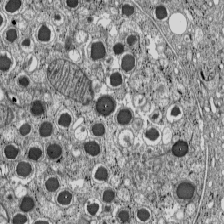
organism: C57BL Mouse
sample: Pancreatic islet